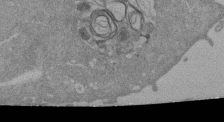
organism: Mouse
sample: ED-1 cell nuclei; centrioles